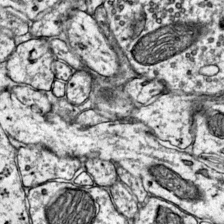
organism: Mouse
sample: Primary visual cortex